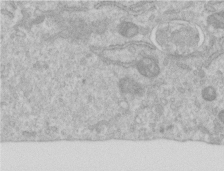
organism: Human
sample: Centriole in RPE cells